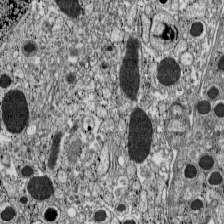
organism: C57BL Mouse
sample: Pancreatic islet